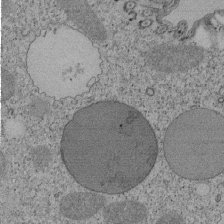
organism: Tetrahymena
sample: Cilia in tetrahymena